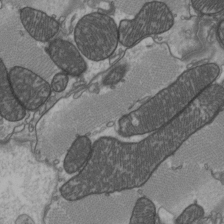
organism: C57BL Mouse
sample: Heart